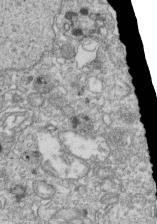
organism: Human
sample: HeLa cell HIV synapse